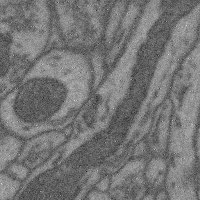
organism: Mouse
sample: Cerebral cortex